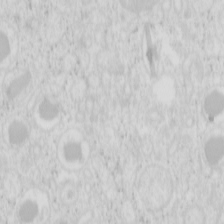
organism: Mouse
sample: Pancreas